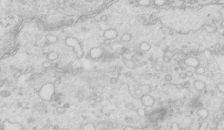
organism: Mouse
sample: Multiciliated cells